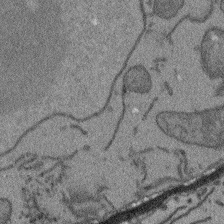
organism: Arabidopsis thaliana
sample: Root tip